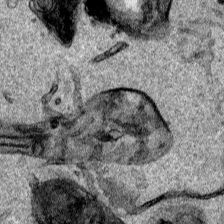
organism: Human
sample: Mitochondria in HCT116 cells